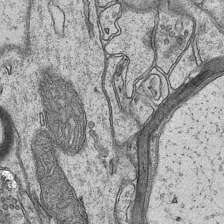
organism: Mouse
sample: CA1 Hippocampus